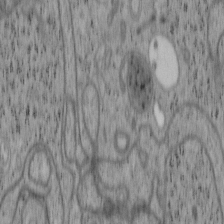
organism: Human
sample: HeLa cells